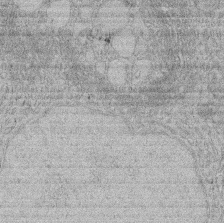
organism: Rat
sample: Salivary granule